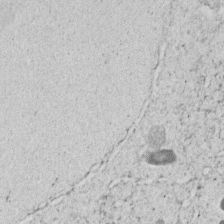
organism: C. elegans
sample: C. elegans embryo early stage